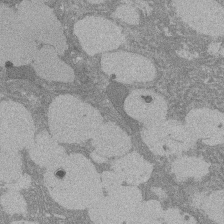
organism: Rat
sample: Salivary granule